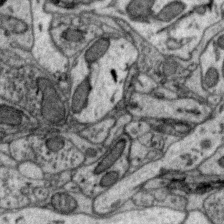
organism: Zebra finch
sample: Brain